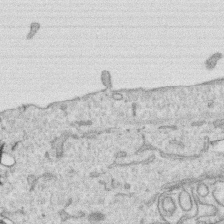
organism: Human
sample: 1205lu cells